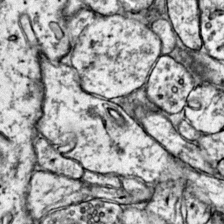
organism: Mouse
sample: Primary visual cortex